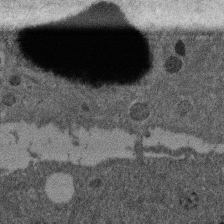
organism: Mouse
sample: Dividing mouse embryo 1 cell stage